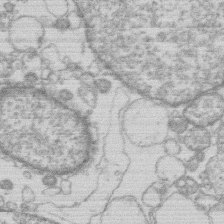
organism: Human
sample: Macrophage cells